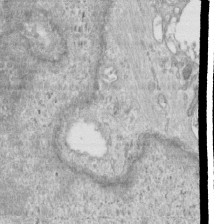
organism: Human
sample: Centriole in RPE cells